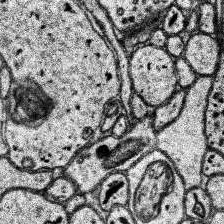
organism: Human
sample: Temporal Lobe